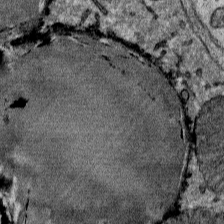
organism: Mouse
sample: Mouse Salivary gland